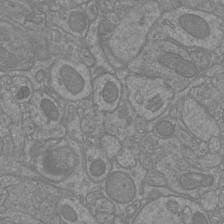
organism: Mouse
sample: Cortical neurons